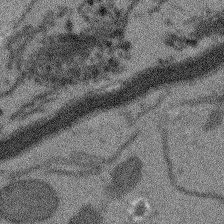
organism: Arabidopsis thaliana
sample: Root tip